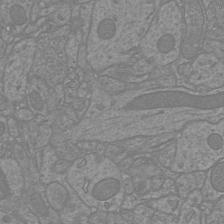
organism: Mouse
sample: Cortical neurons